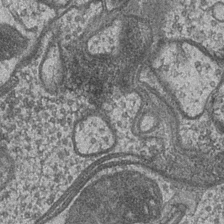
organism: Drosophila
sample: Optic medulla